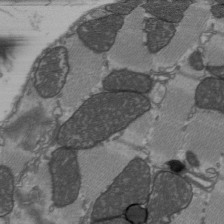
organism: C57BL Mouse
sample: Heart